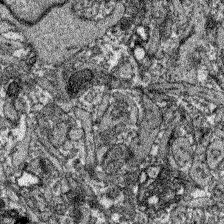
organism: Zebrafish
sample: Larval olfactory bulb